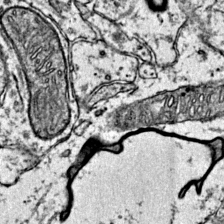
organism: Mouse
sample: Primary visual cortex